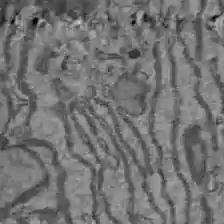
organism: C57BL Mouse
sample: Liver